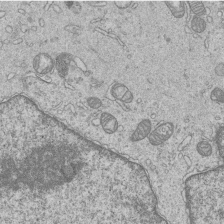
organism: Human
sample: MDA-MB-231 cells